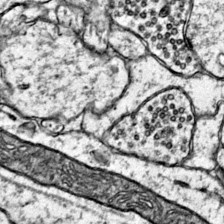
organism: Mouse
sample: Primary visual cortex